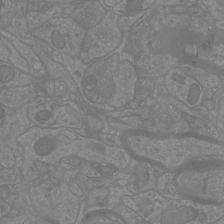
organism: Mouse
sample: Cortical neurons